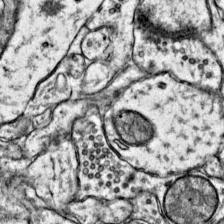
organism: Mouse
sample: Primary visual cortex